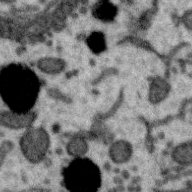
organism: Zebra finch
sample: Brain